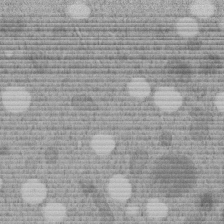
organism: C. elegans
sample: C. elegans embryo early stage